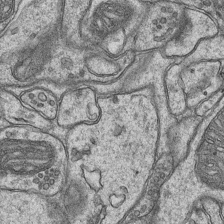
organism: Mouse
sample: CA1 Hippocampus